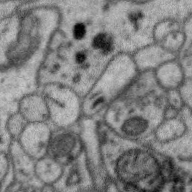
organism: Zebra finch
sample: Brain